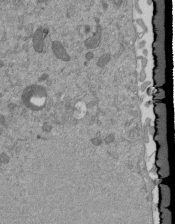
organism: Mouse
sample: ED-1 cell nuclei; centrioles